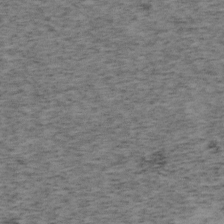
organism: Mouse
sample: OT-I killer T cells with ID8 ovarian cancer cells